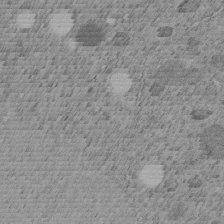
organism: C. elegans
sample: C. elegans embryo early stage